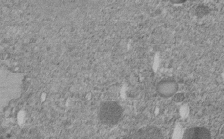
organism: C. elegans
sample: C. elegans embryo early stage